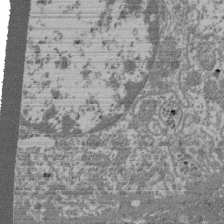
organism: Mouse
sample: Glomerulus